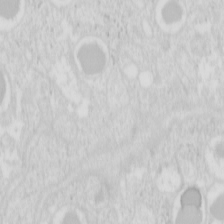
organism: Mouse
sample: Pancreas